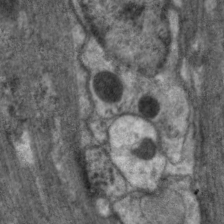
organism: C. elegans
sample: Pharynx